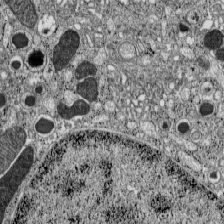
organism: C57BL Mouse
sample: Pancreatic islet